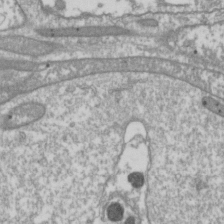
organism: Drosophila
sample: Cell division; meiosis; drosophila spermatocytes